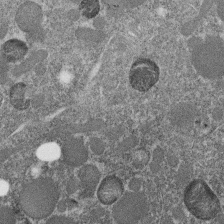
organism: C. elegans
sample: C. elegans embryo early stage